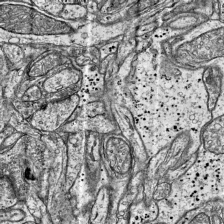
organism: Mouse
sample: Visual Cortex